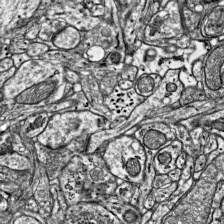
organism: Mouse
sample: Visual Cortex